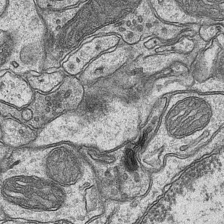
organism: Mouse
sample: CA1 Hippocampus